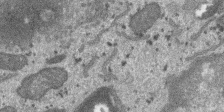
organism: Human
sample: Lung epithelial cells infected with SARS-CoV-2